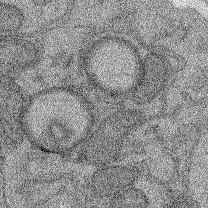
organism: Human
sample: HeLa cells